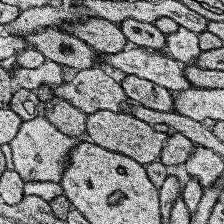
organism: Human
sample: Temporal Lobe